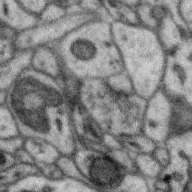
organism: Zebra finch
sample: Brain